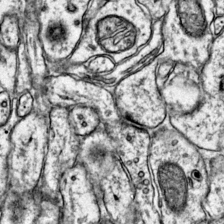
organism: Mouse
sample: Primary visual cortex